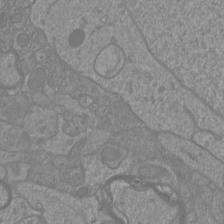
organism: Mouse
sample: Cortical neurons